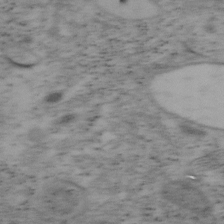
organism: Mouse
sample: OT-I killer T cells with ID8 ovarian cancer cells